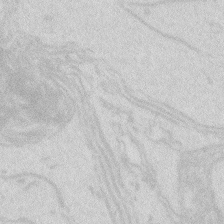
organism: Zebrafish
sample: Macrophage